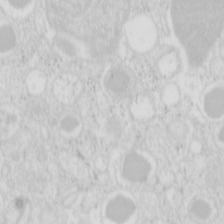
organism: Mouse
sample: Pancreas